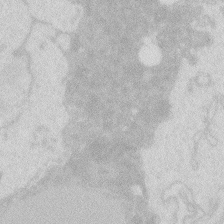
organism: Zebrafish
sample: Macrophage